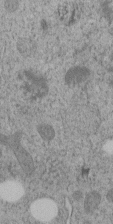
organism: C. elegans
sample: C. elegans embryo early stage